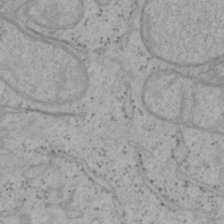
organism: Human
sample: HeLa cells